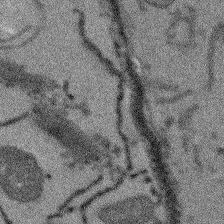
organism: Arabidopsis thaliana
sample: Root tip